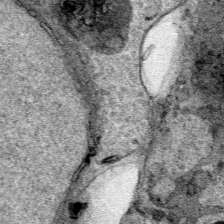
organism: Human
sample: Mitochondria in HCT116 cells